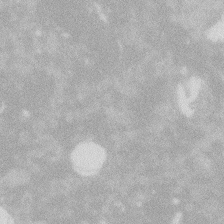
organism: Zebrafish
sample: Macrophage